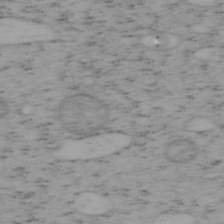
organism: Mouse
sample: OT-I killer T cells with ID8 ovarian cancer cells